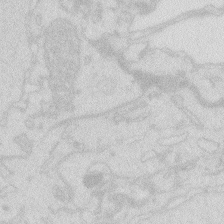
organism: Zebrafish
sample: Macrophage